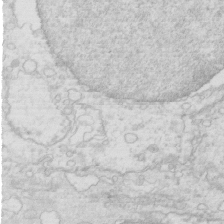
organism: Mouse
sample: Multiciliated cells